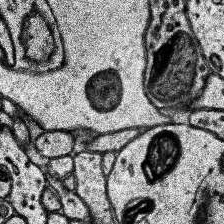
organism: Human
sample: Temporal Lobe